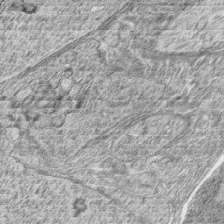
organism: Zebrafish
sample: synaptic ribbons in rod cells and cone cells